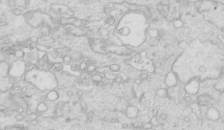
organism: Mouse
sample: Multiciliated cells